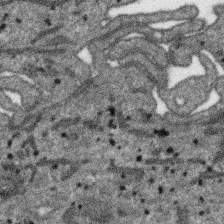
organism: Human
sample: Lung epithelial cells infected with SARS-CoV-2